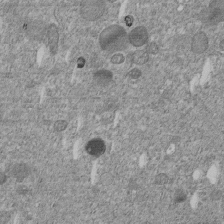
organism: C. elegans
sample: C. elegans embryo early stage